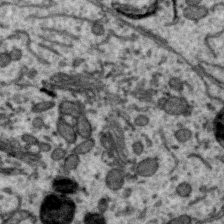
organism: Zebra finch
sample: Brain